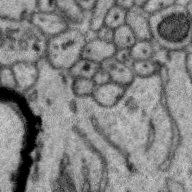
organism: Zebra finch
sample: Brain